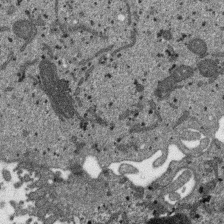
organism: Human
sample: Lung epithelial cells infected with SARS-CoV-2